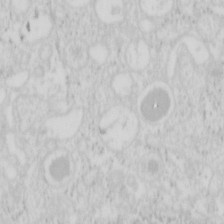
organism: Mouse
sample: Pancreas